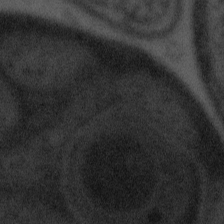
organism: Tuwongella immobilis